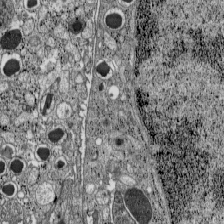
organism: C57BL Mouse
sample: Pancreatic islet